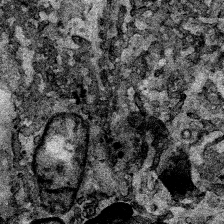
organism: Human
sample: Mitochondria in HCT116 cells